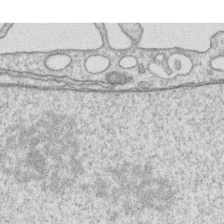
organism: Human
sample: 1205lu cells